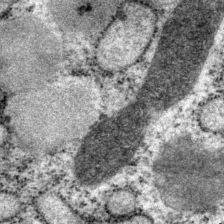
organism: P. pacificus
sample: Pharynx